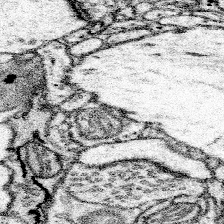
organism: Mouse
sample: Somatosensory cortex neuropil